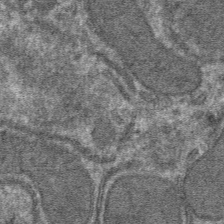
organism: Mouse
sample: Mouse hepatocytes